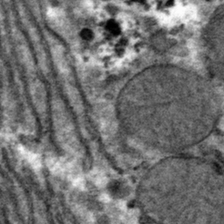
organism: Mouse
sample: Mouse hepatocytes